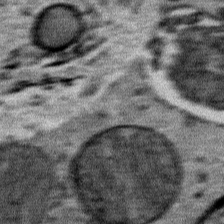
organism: Mouse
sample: Mouse Salivary gland